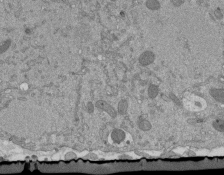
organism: Mouse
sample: ED-1 cell nuclei; centrioles